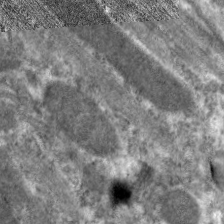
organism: C. elegans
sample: Pharynx